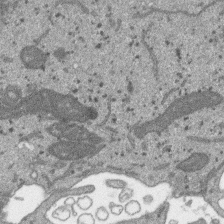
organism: Human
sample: Lung epithelial cells infected with SARS-CoV-2